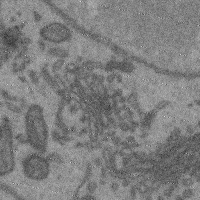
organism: Mouse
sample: Cerebral cortex